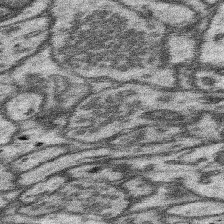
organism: Mouse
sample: Somatosensory cortex neuropil